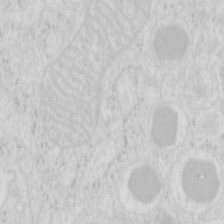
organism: Mouse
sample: Pancreas